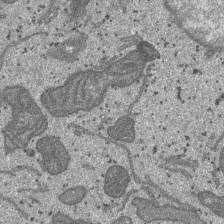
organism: Human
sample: Lung epithelial cells infected with SARS-CoV-2